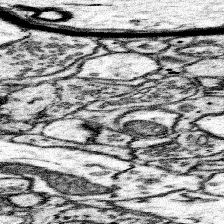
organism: Mouse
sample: Somatosensory cortex neuropil